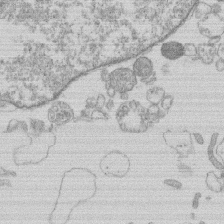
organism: Human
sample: Macrophage cells